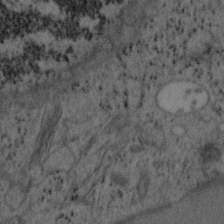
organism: Human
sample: HeLa cells